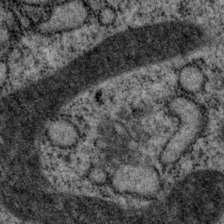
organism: P. pacificus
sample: Pharynx